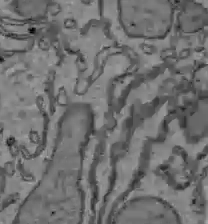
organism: C57BL Mouse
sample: Liver